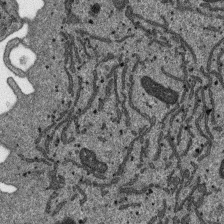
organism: Human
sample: Lung epithelial cells infected with SARS-CoV-2